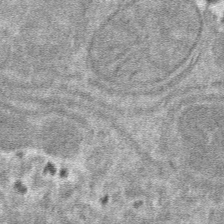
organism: Mouse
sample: Mouse hepatocytes